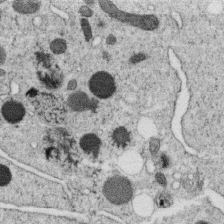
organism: C. elegans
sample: C. elegans oocyte; sperm cells